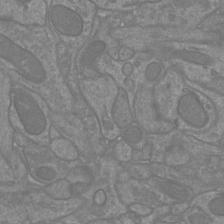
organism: Mouse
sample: Cortical neurons